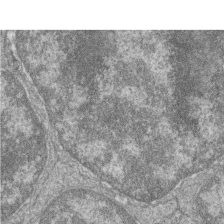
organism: Zebrafish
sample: Cilia; retinal pigment epithelium